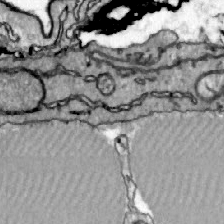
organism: Zebrafish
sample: Actinotrichia fibers